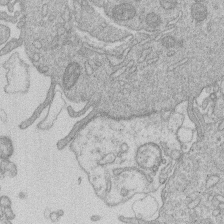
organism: Human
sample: Macrophage cells